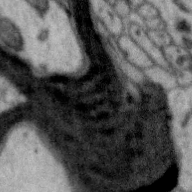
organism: Zebra finch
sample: Brain